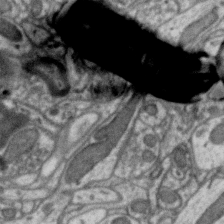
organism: Zebra finch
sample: Brain